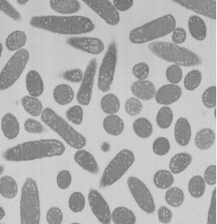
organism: E. coli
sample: Bacterial nucleoid